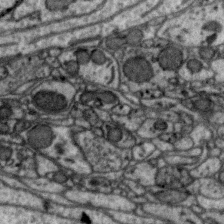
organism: Zebra finch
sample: Brain